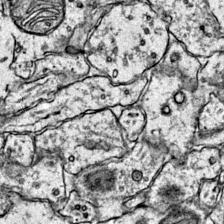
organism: Mouse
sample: Primary visual cortex